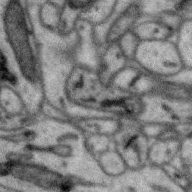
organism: Zebra finch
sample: Brain